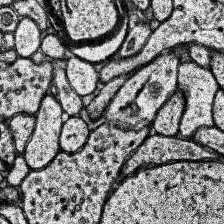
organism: Human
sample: Temporal Lobe